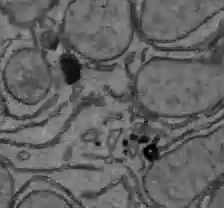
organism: C57BL Mouse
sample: Liver